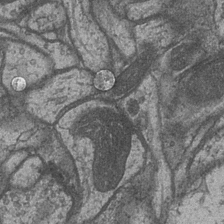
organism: Drosophila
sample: Optic medulla